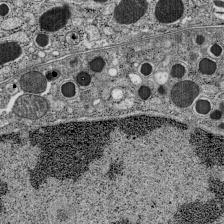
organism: C57BL Mouse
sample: Pancreatic islet